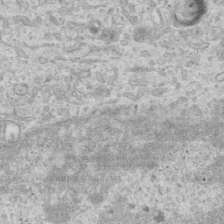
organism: Mouse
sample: Centriole in ependymal cells